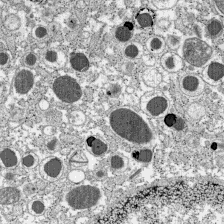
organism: C57BL Mouse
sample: Pancreatic islet